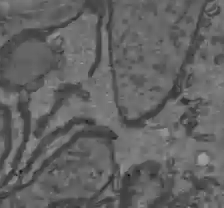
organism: C57BL Mouse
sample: Liver